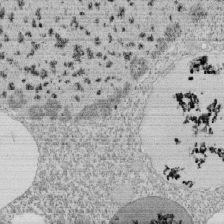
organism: Tetrahymena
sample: Cilia in tetrahymena